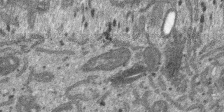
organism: Human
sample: Lung epithelial cells infected with SARS-CoV-2